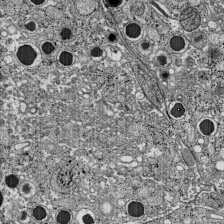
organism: C57BL Mouse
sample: Pancreatic islet